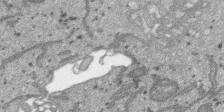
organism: Human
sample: Lung epithelial cells infected with SARS-CoV-2